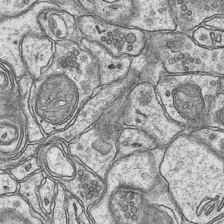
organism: Mouse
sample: CA1 Hippocampus